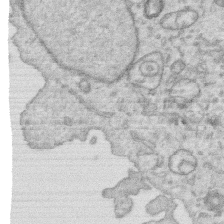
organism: Human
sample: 1205lu cells